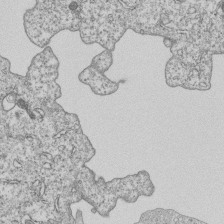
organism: Human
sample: MDA-MB-231 cells